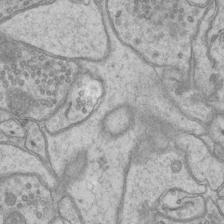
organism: Mouse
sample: CA1 Hippocampus